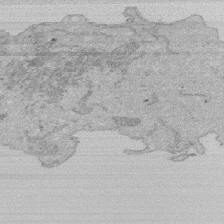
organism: Human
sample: Activated Jurkat CD4+ T cells